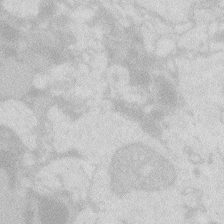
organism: Zebrafish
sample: Macrophage